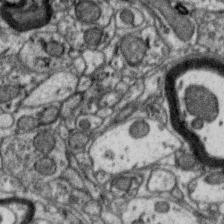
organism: Zebra finch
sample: Brain